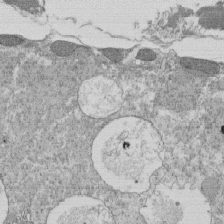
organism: Tetrahymena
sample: Cilia in tetrahymena